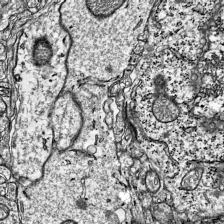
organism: Mouse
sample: Visual Cortex